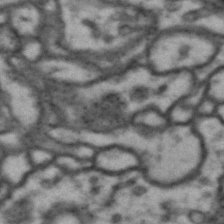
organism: Drosophila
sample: Brain